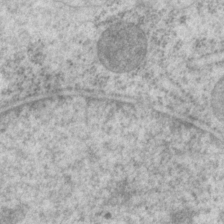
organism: P. pacificus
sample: Pharynx